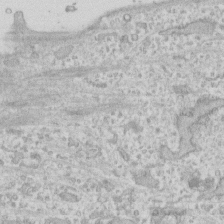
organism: Human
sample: Fibroblast cells